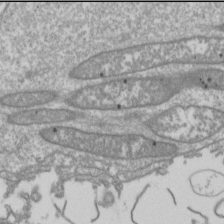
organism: Drosophila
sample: Cell division; meiosis; drosophila spermatocytes